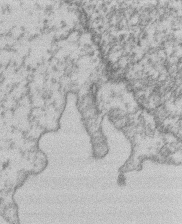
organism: Mouse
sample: T cell stromal cell synapse